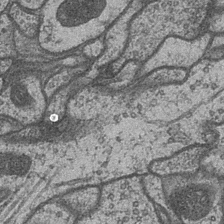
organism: Drosophila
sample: Optic medulla